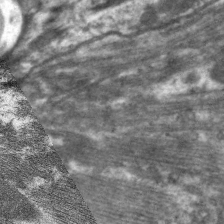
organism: C. elegans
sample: Pharynx